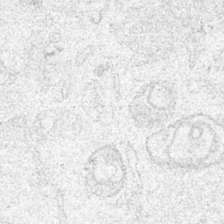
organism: Human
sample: Mitochondria in HCT116 cells